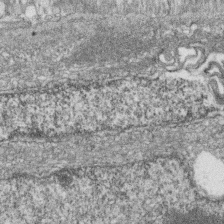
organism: Zebrafish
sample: Cilia; retinal pigment epithelium